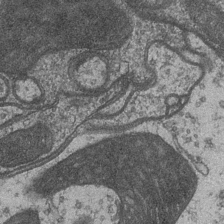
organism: Drosophila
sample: Optic medulla